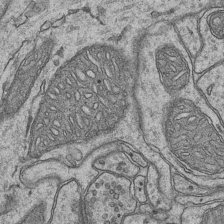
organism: Mouse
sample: CA1 Hippocampus